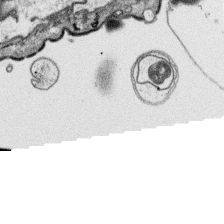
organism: Platynereis dumerilii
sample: Parapodia